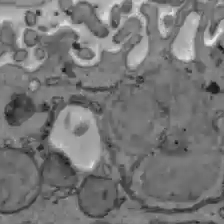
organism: C57BL Mouse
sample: Liver